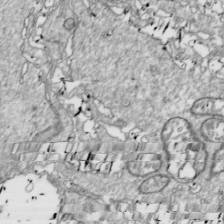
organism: Drosophila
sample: Cell division; meiosis; drosophila spermatocytes